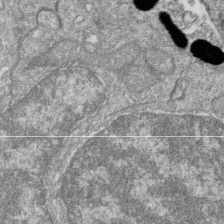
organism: Zebrafish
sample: Cilia; retinal pigment epithelium